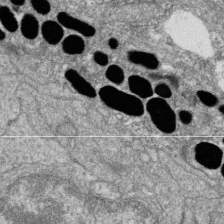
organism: Zebrafish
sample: Cilia; retinal pigment epithelium